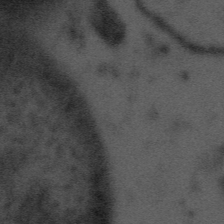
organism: Tuwongella immobilis